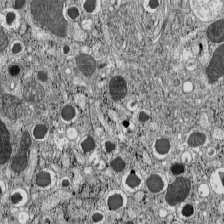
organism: C57BL Mouse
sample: Pancreatic islet